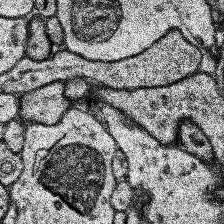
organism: Human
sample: Temporal Lobe